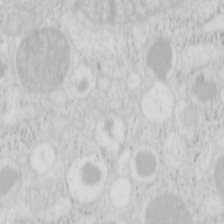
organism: Mouse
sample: Pancreas